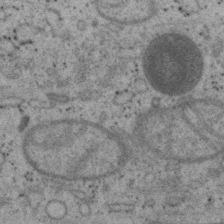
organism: Human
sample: HeLa cells